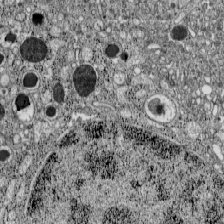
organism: C57BL Mouse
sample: Pancreatic islet